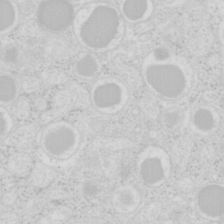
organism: Mouse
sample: Pancreas